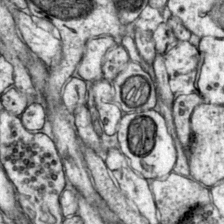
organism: Mouse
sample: Primary visual cortex